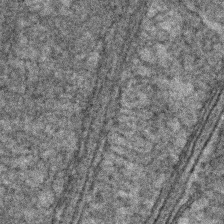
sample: Kidney